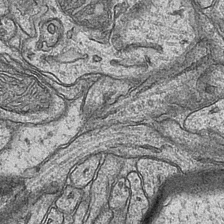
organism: Mouse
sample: CA1 Hippocampus